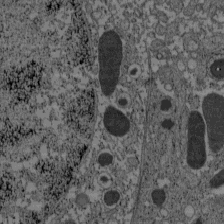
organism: C57BL Mouse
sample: Pancreatic islet